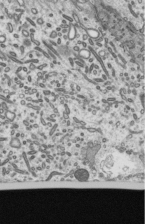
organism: Mouse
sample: Mouse epididymis efferent ductule cilia